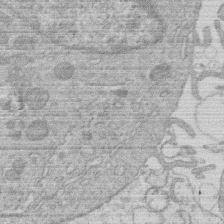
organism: Human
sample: Macrophage cells